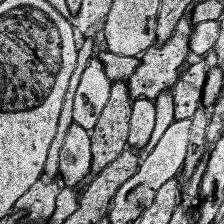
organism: Human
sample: Temporal Lobe